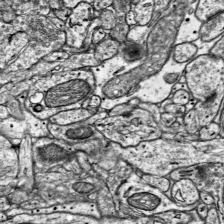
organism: Mouse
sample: Visual Cortex